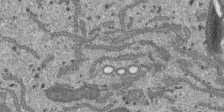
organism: Human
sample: Lung epithelial cells infected with SARS-CoV-2